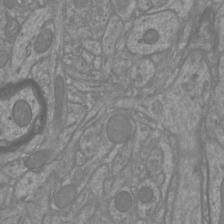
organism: Mouse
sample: Cortical neurons